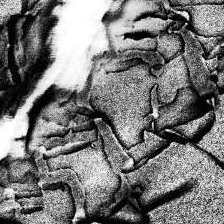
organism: Human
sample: Temporal Lobe